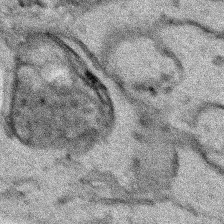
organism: Human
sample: Mitochondria in HCT116 cells